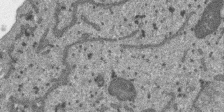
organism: Human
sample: Lung epithelial cells infected with SARS-CoV-2